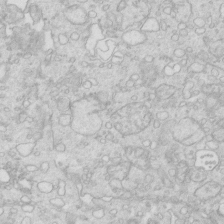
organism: Mouse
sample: Multiciliated cells